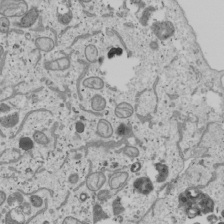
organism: Human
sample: Mitochondria in U2OS cells